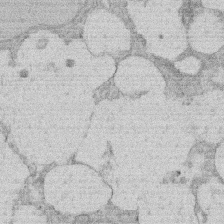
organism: Rat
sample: Salivary granule